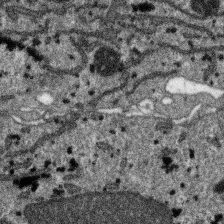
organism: Human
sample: Lung epithelial cells infected with SARS-CoV-2